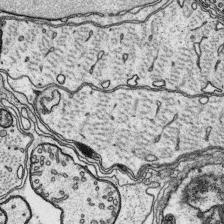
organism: Platynereis dumerilii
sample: Parapodia